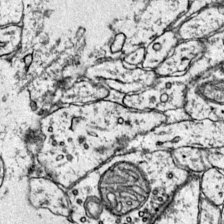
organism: Mouse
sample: Primary visual cortex